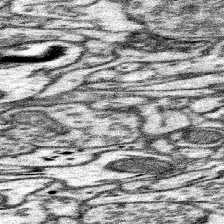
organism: Mouse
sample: Somatosensory cortex neuropil